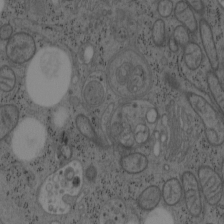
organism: Mouse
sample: OT-I killer T cells with ID8 ovarian cancer cells